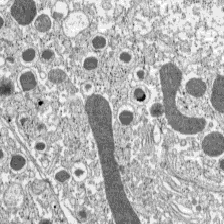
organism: C57BL Mouse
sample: Pancreatic islet